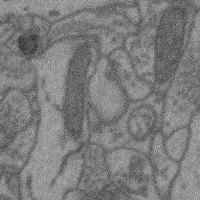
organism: Mouse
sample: Cerebral cortex